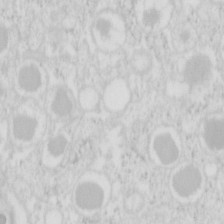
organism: Mouse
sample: Pancreas